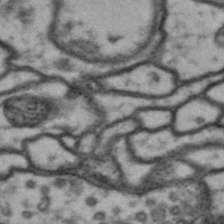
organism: Drosophila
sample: Brain